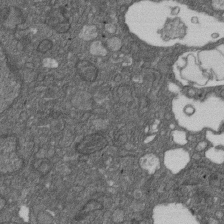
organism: Drosophila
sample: Nephrocyte